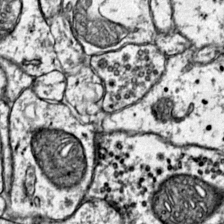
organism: Mouse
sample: Primary visual cortex